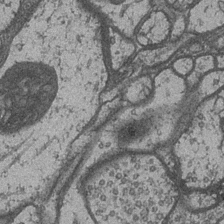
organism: Drosophila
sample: Optic medulla